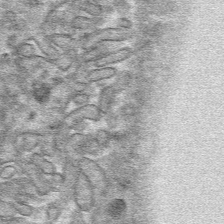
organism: Mouse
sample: Mouse hepatocytes